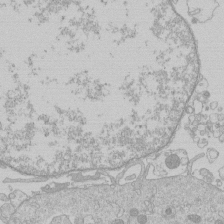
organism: Human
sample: Macrophage cells